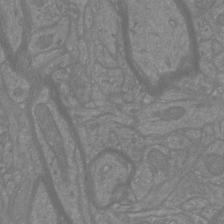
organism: Mouse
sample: Cortical neurons